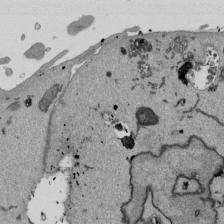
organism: Mouse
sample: ED-1 cell nuclei; centrioles